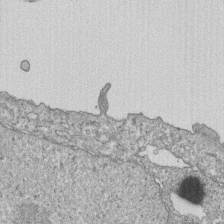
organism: Human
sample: HeLa cell HIV synapse